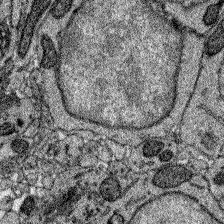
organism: Zebrafish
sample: Larval olfactory bulb